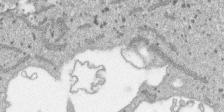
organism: Human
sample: Lung epithelial cells infected with SARS-CoV-2